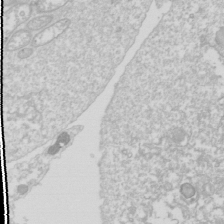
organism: Drosophila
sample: Cell division; meiosis; drosophila spermatocytes